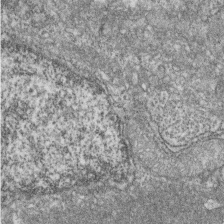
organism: Zebrafish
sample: Cilia; retinal pigment epithelium